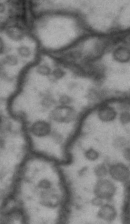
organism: Drosophila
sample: Brain